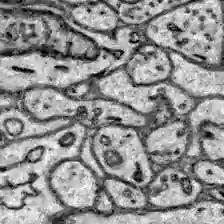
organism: Zebrafish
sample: Brain